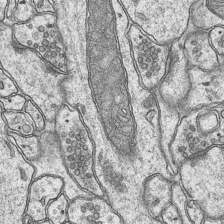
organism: Mouse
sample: CA1 Hippocampus